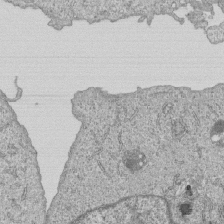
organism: Human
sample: MDA-MB-231 cells